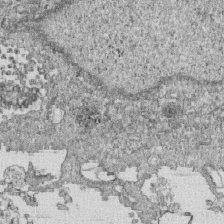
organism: Human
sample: HeLa cell HIV synapse